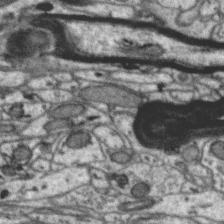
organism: Zebra finch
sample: Brain